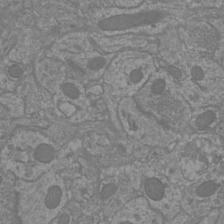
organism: Mouse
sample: Cortical neurons